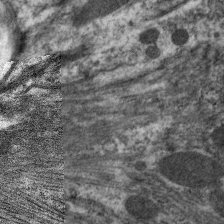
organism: C. elegans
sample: Pharynx